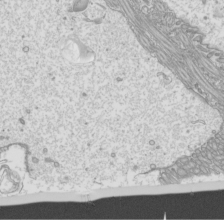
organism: Mouse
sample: Cilia; mouse epididymis